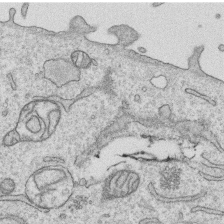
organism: Human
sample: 1205lu cells